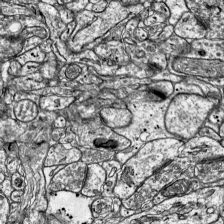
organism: Mouse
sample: Visual Cortex